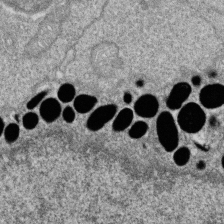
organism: Zebrafish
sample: Cilia; retinal pigment epithelium